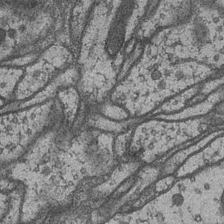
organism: Drosophila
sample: Optic medulla